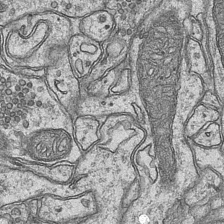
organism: Mouse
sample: CA1 Hippocampus